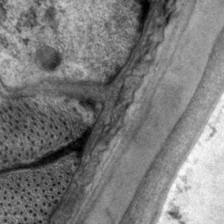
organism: P. pacificus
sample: Pharynx